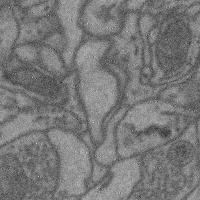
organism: Mouse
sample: Cerebral cortex